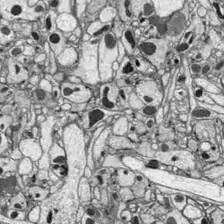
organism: Drosophila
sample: Optic lobe